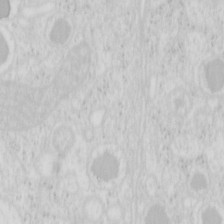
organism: Mouse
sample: Pancreas